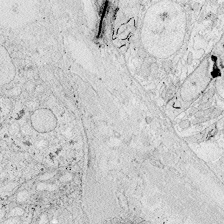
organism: Zebrafish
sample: Whole-Brain